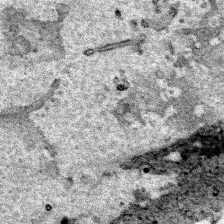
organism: Human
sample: Mitochondria in HCT116 cells